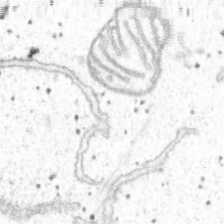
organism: Human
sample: HeLa cells